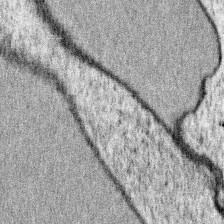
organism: Human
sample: HeLa cells